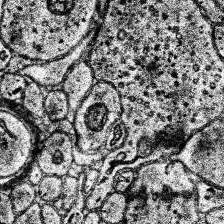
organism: Human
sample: Temporal Lobe